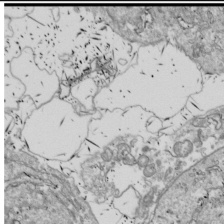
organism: Drosophila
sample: Cell division; meiosis; drosophila spermatocytes